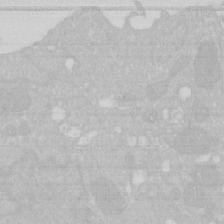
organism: Human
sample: HIV infected U937 cells